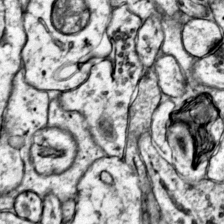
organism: Mouse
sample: Primary visual cortex